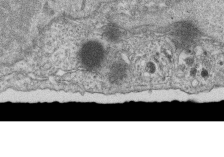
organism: Human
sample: HeLa cell HIV synapse